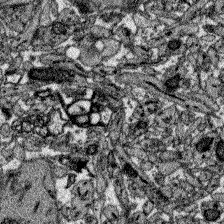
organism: Zebrafish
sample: Larval olfactory bulb